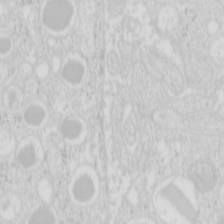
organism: Mouse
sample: Pancreas